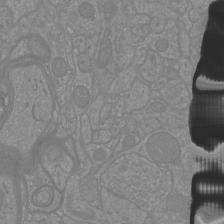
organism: Mouse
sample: Cortical neurons